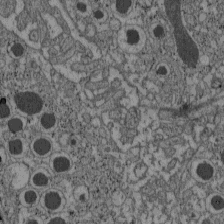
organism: C57BL Mouse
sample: Pancreatic islet